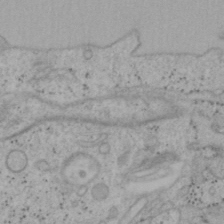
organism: Human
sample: HeLa cells